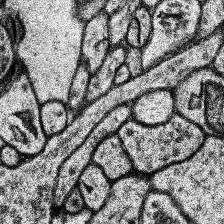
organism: Human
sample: Temporal Lobe